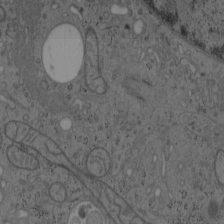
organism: Mouse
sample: OT-I killer T cells with ID8 ovarian cancer cells